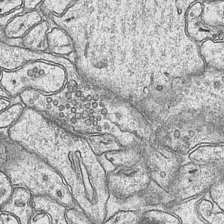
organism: Mouse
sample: CA1 Hippocampus